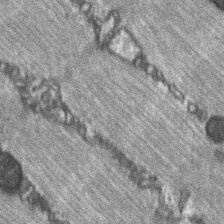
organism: C57BL Mouse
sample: Soleus